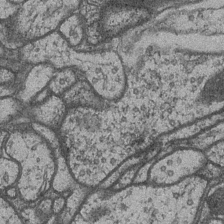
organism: Drosophila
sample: Optic medulla